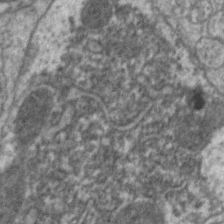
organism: C. elegans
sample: Pharynx